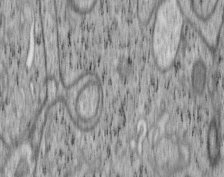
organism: Human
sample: HeLa cells